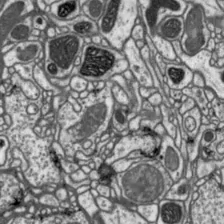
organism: Drosophila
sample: Protocerebral bridge